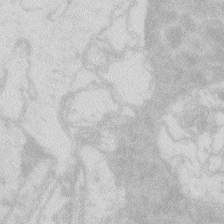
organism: Zebrafish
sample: Macrophage